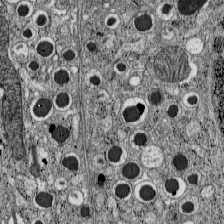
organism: C57BL Mouse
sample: Pancreatic islet